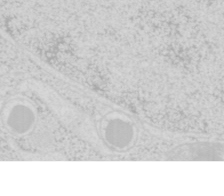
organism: Mouse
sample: Pancreas